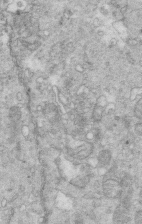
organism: Mouse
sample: Multiciliated cells